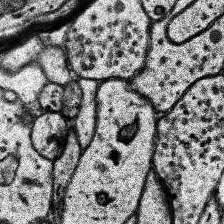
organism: Human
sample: Temporal Lobe